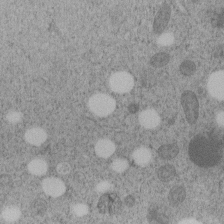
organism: C. elegans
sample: C. elegans embryo early stage